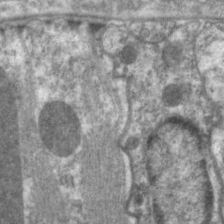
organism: C. elegans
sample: Pharynx